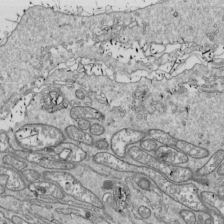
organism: Drosophila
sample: Cell division; meiosis; drosophila spermatocytes